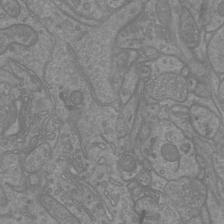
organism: Mouse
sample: Cortical neurons